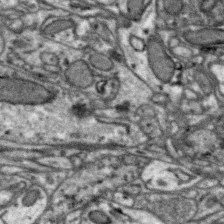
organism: Zebra finch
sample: Brain